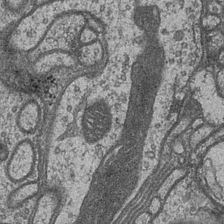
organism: Drosophila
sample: Optic medulla